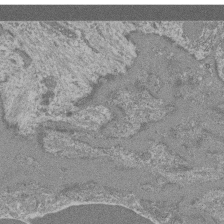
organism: Mouse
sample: Glomerulus